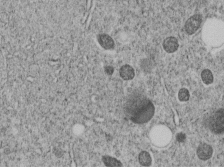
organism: C. elegans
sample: C. elegans embryo early stage